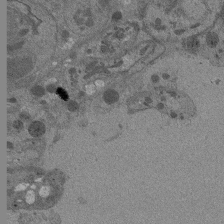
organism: Drosophila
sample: Antenna